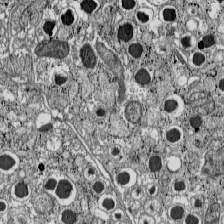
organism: C57BL Mouse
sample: Pancreatic islet